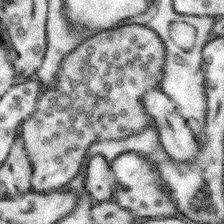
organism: Mouse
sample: Somatosensory cortex neuropil